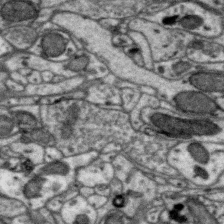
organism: Zebra finch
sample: Brain